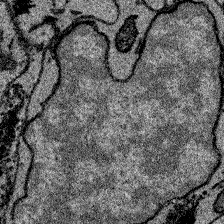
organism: Zebrafish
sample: Larval olfactory bulb